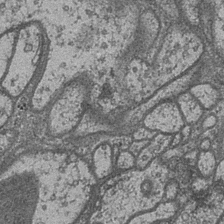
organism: Drosophila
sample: Optic medulla